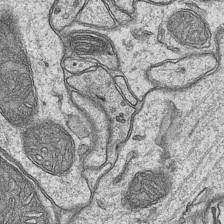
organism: Mouse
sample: CA1 Hippocampus